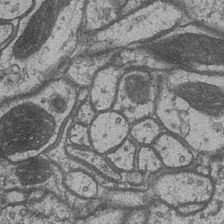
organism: Drosophila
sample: Optic medulla